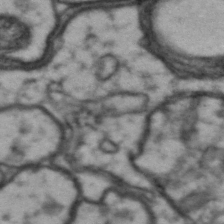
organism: Drosophila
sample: Brain